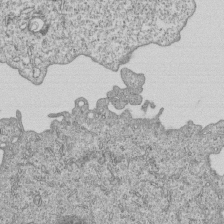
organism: Human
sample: MDA-MB-231 cells